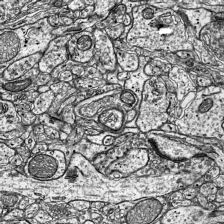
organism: Mouse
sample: Visual Cortex